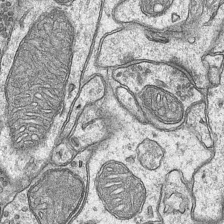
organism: Mouse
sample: CA1 Hippocampus